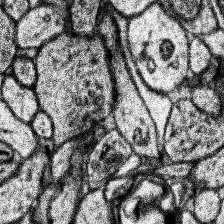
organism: Human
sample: Temporal Lobe